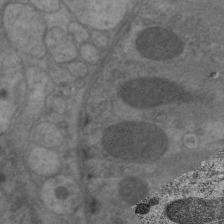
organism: C. elegans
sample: Pharynx